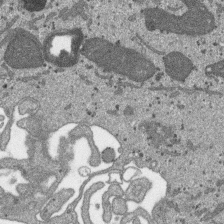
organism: Human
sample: Lung epithelial cells infected with SARS-CoV-2